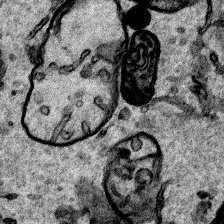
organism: Human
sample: Mitochondria in HCT116 cells